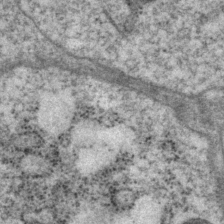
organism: P. pacificus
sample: Pharynx